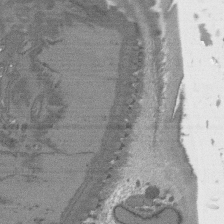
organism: C. elegans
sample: AFD neurons C. elegans